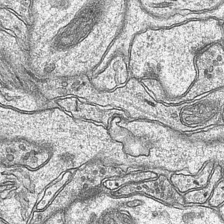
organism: Mouse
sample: CA1 Hippocampus